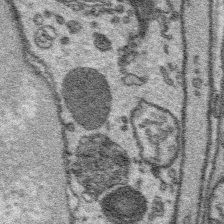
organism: Platynereis dumerilii